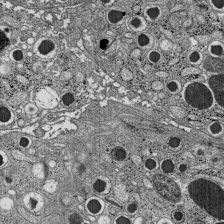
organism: C57BL Mouse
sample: Pancreatic islet